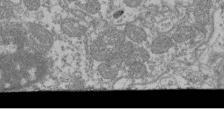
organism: Mouse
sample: Glomerulus